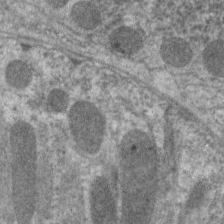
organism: C. elegans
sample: Pharynx